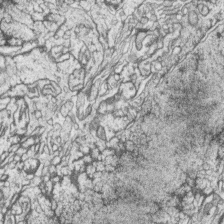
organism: Zebrafish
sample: synaptic ribbons in rod cells and cone cells